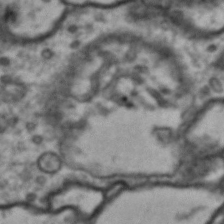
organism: Drosophila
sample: Brain